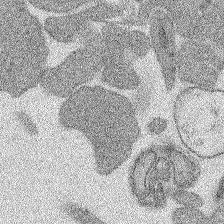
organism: Human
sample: HeLa cells